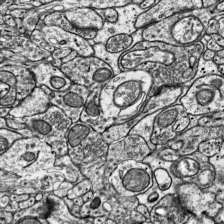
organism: Mouse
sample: Visual Cortex